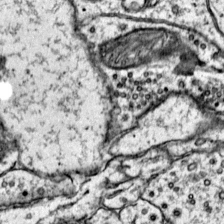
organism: Mouse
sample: Primary visual cortex